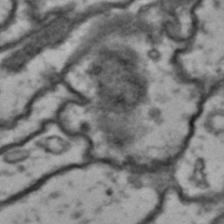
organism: Drosophila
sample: Brain